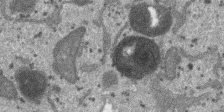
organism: Human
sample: Lung epithelial cells infected with SARS-CoV-2